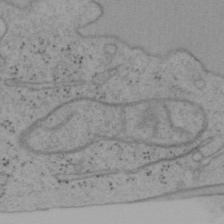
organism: Human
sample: HeLa cells